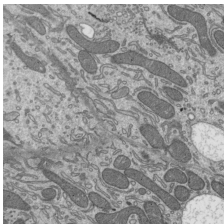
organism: Mouse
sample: Mouse epididymis efferent ductule cilia